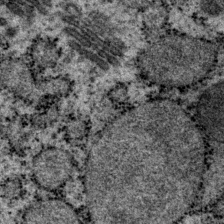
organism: P. pacificus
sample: Pharynx